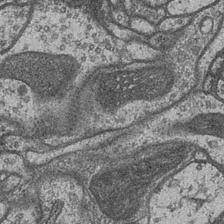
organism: Drosophila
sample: Optic medulla